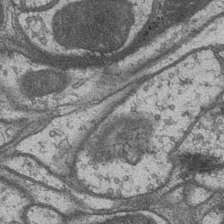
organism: Drosophila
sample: Optic medulla